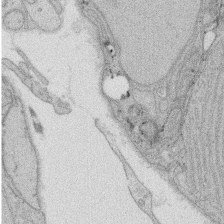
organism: Rat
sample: Salivary granule